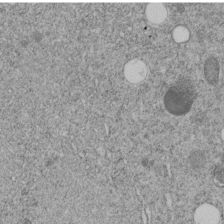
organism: C. elegans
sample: C. elegans embryo early stage